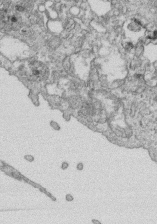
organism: Human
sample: HeLa cell HIV synapse